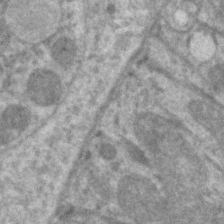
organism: C. elegans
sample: Pharynx